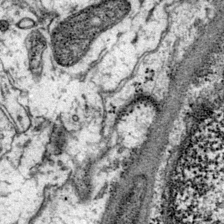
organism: Mouse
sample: Primary visual cortex